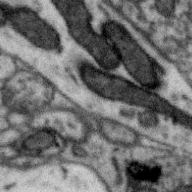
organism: Zebra finch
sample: Brain